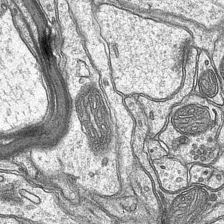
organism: Mouse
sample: CA1 Hippocampus